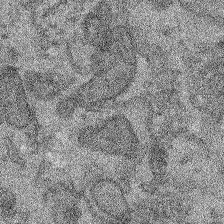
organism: Human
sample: HeLa cells